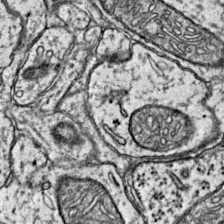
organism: Mouse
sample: Primary visual cortex